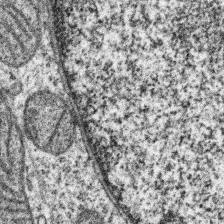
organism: Human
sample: HeLa cells